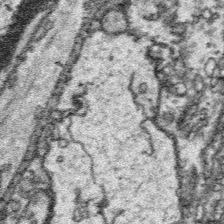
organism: Platynereis dumerilii